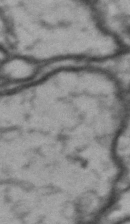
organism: Drosophila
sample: Brain